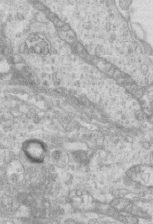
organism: Mouse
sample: Centriole in ependymal cells